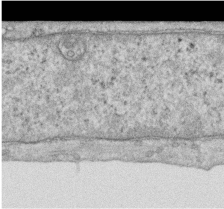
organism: Human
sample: Centriole in RPE cells